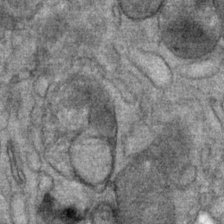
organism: Mouse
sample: Mouse Salivary gland